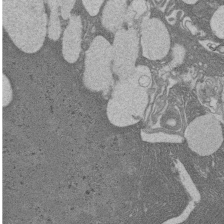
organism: Rat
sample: Salivary granule